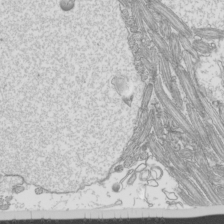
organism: Mouse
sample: Cilia; mouse epididymis